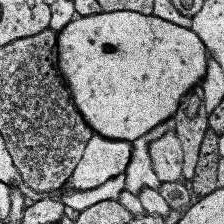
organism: Human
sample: Temporal Lobe